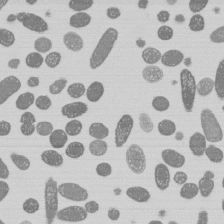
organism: E. coli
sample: Bacterial nucleoid